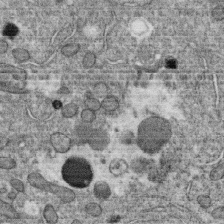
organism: C. elegans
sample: C. elegans oocyte; sperm cells